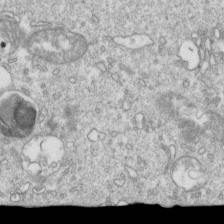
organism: Mouse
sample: Activated OT-1 CD8+ T cells